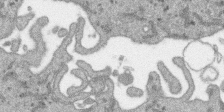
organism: Human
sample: Lung epithelial cells infected with SARS-CoV-2